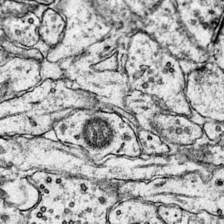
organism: Mouse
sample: Primary visual cortex